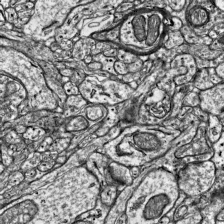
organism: Mouse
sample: Visual Cortex